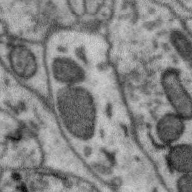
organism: Zebra finch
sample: Brain